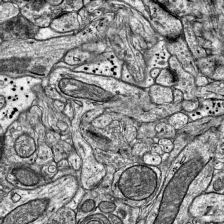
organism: Mouse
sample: Visual Cortex